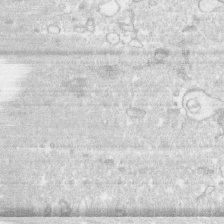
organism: Human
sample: CRL-1474